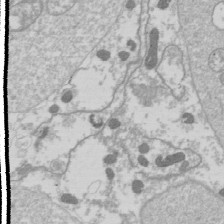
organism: Drosophila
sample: Cell division; meiosis; drosophila spermatocytes